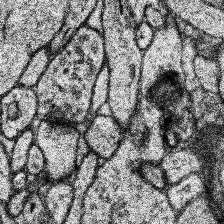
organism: Human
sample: Temporal Lobe